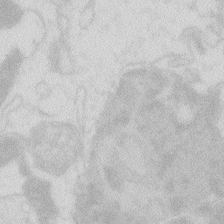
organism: Zebrafish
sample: Macrophage